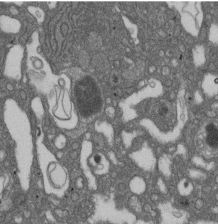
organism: Drosophila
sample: Nephrocyte